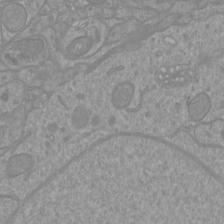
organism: Mouse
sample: Cortical neurons